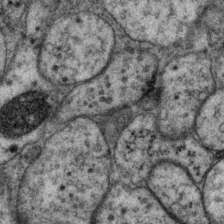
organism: P. pacificus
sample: Pharynx